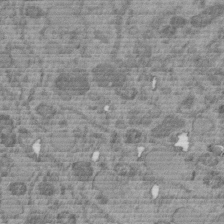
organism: C. elegans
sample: C. elegans embryo early stage